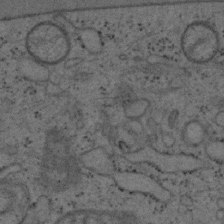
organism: Human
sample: HeLa cells